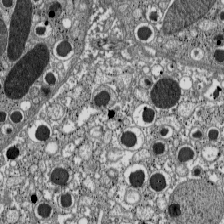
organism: C57BL Mouse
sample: Pancreatic islet